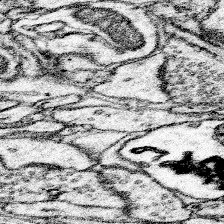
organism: Mouse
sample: Somatosensory cortex neuropil